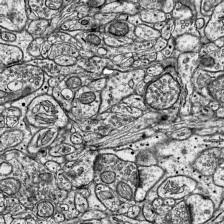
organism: Mouse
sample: Visual Cortex